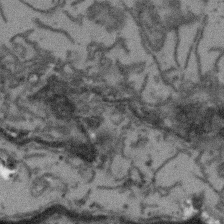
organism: Arabidopsis thaliana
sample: Root tip